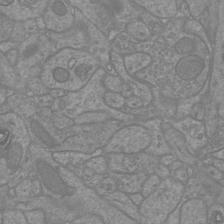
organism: Mouse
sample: Cortical neurons